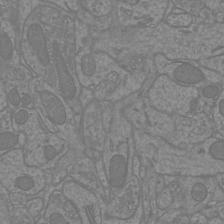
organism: Mouse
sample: Cortical neurons